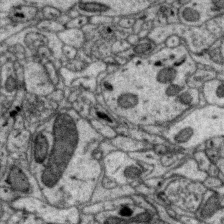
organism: Zebra finch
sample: Brain